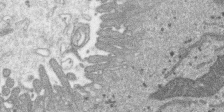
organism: Human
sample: Lung epithelial cells infected with SARS-CoV-2